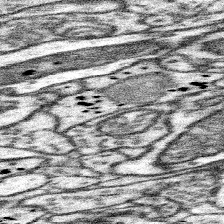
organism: Mouse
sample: Somatosensory cortex neuropil